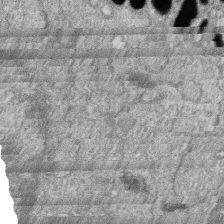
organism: Zebrafish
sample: Cilia; retinal pigment epithelium